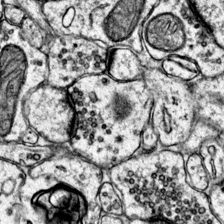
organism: Mouse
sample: Primary visual cortex